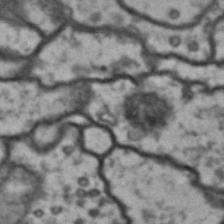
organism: Drosophila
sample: Brain